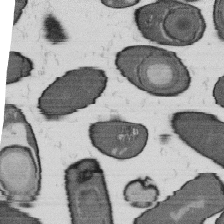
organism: B. subtilis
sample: Bacterial spore